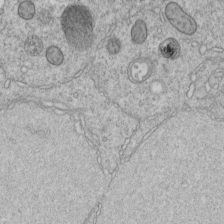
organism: C. elegans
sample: C. elegans embryo early stage